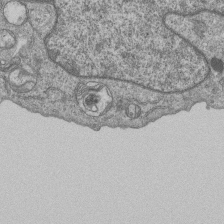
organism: Human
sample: MDA-MB-231 cells